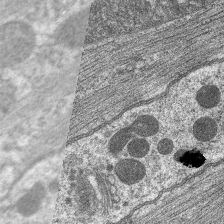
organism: C. elegans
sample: Pharynx